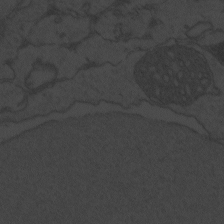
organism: Zebrafish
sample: Macrophage infected with Toxoplasma gondii